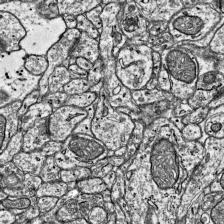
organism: Mouse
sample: Visual Cortex